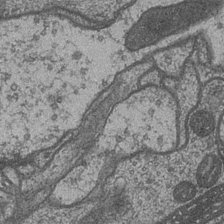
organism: Drosophila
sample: Optic medulla